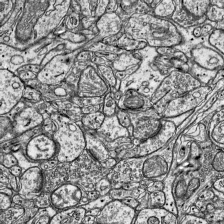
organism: Mouse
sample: Visual Cortex